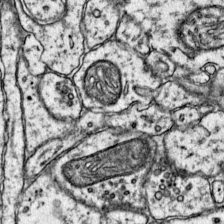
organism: Mouse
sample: Primary visual cortex